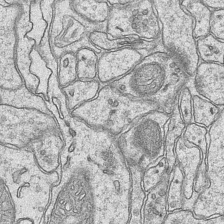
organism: Mouse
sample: CA1 Hippocampus